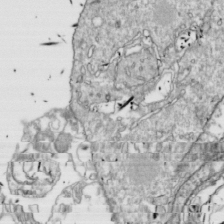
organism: Drosophila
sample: Cell division; meiosis; drosophila spermatocytes